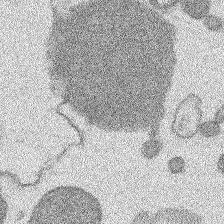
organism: Human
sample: HeLa cells